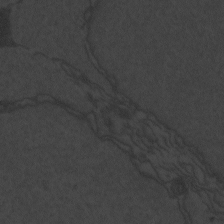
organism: Zebrafish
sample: Macrophage infected with Toxoplasma gondii